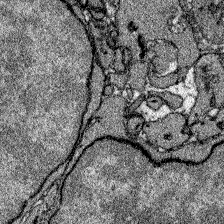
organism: Zebrafish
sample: Larval olfactory bulb